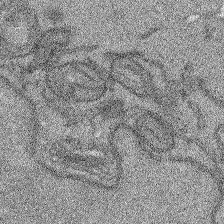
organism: Human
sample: HeLa cells